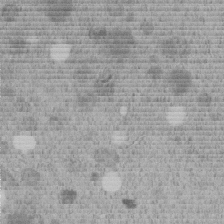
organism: C. elegans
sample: C. elegans embryo early stage